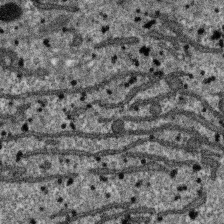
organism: Human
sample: Lung epithelial cells infected with SARS-CoV-2